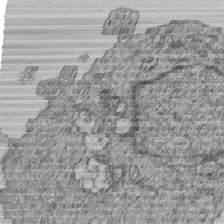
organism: Human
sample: MDA-MB-231 cells